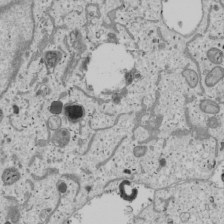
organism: Human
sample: Mitochondria in U2OS cells